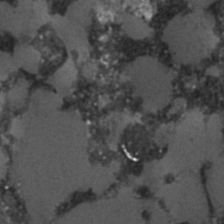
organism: C. elegans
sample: C. elegans embryo